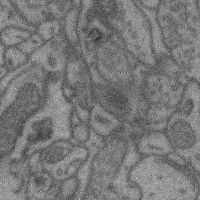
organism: Mouse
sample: Cerebral cortex